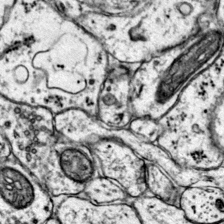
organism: Mouse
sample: Primary visual cortex